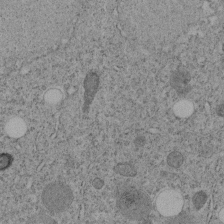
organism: C. elegans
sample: C. elegans embryo early stage